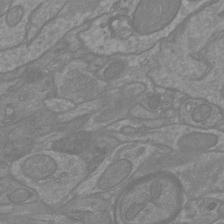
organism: Mouse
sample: Cortical neurons